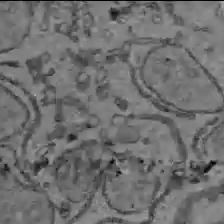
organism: C57BL Mouse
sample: Liver